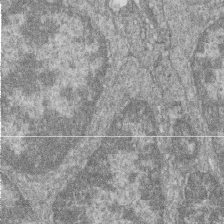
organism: Zebrafish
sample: Cilia; retinal pigment epithelium